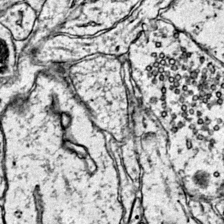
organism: Mouse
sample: Primary visual cortex